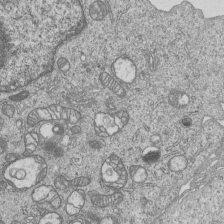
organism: Human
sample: MDA-MB-231 cells